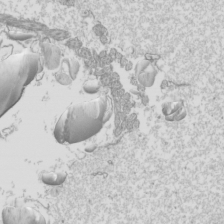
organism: Mouse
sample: Cilia; mouse epididymis